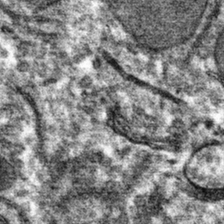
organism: Mouse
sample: Mouse hepatocytes